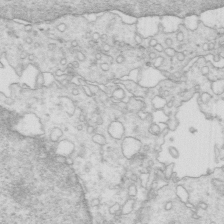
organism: Mouse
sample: Multiciliated cells